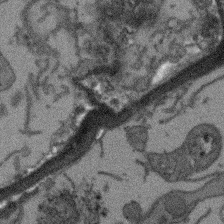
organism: Arabidopsis thaliana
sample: Root tip